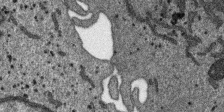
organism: Human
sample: Lung epithelial cells infected with SARS-CoV-2